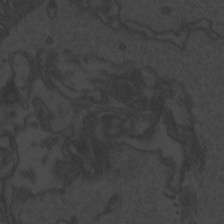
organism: Zebrafish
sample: Macrophage infected with Toxoplasma gondii